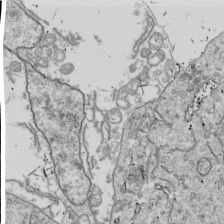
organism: Drosophila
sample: Cell division; meiosis; drosophila spermatocytes